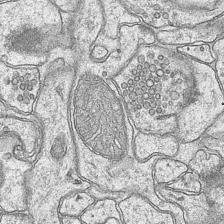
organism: Mouse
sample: CA1 Hippocampus